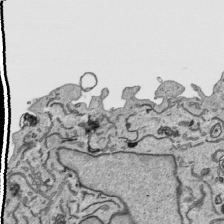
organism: Human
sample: Mitochondria in HCT116 cells